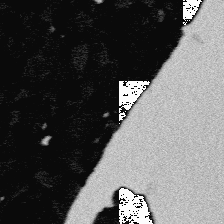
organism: Platynereis dumerilii